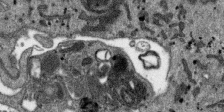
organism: Human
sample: Lung epithelial cells, uninfected (mock) control